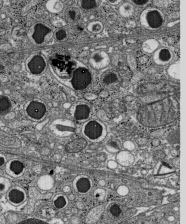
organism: C57BL Mouse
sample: Pancreatic islet